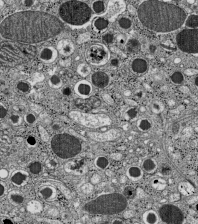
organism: C57BL Mouse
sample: Pancreatic islet